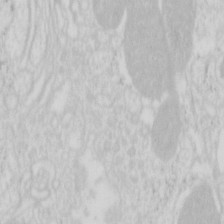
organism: Mouse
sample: Pancreas